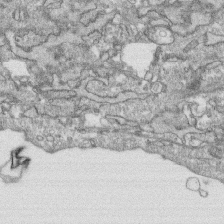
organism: Human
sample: CRL-1474